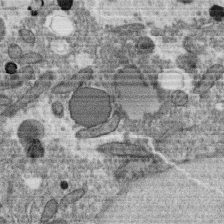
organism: C. elegans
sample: C. elegans oocyte; sperm cells